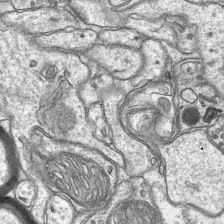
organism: Mouse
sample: CA1 Hippocampus